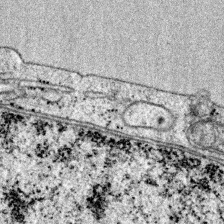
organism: Human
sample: HeLa cells